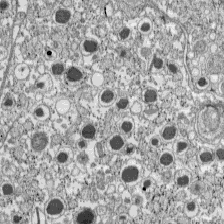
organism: C57BL Mouse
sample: Pancreatic islet